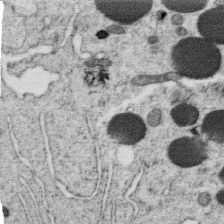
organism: C. elegans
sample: C. elegans oocyte; sperm cells